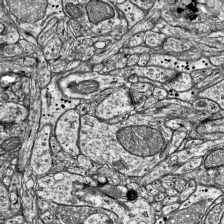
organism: Mouse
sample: Visual Cortex